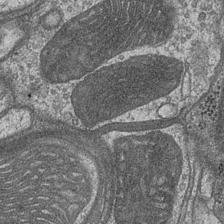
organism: Drosophila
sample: Optic medulla